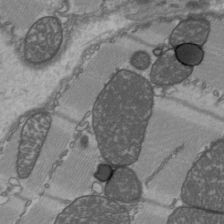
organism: C57BL Mouse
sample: Heart